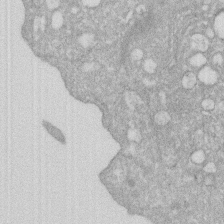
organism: Human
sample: HIV infected U937 cells